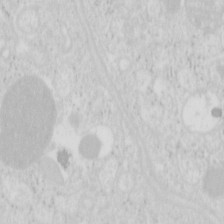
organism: Mouse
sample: Pancreas